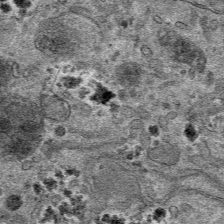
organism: Mouse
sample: Mouse hepatocytes